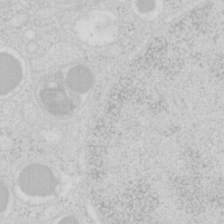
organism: Mouse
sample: Pancreas